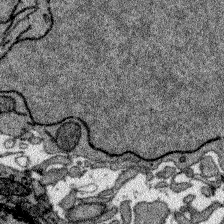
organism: Zebrafish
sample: Larval olfactory bulb